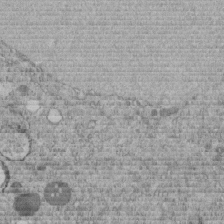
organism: C. elegans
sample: C. elegans embryo early stage